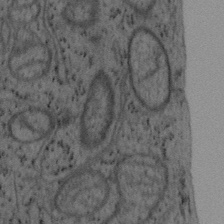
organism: Human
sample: HeLa cells